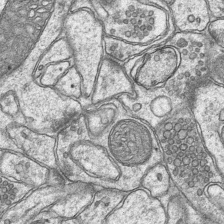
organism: Mouse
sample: CA1 Hippocampus